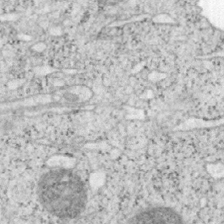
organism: Mouse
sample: OT-I killer T cells with ID8 ovarian cancer cells